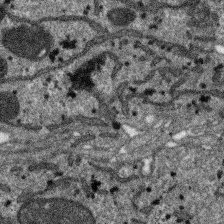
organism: Human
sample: Lung epithelial cells infected with SARS-CoV-2